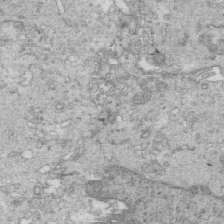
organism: Mouse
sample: Multiciliated cells